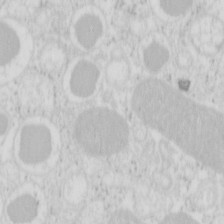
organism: Mouse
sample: Pancreas